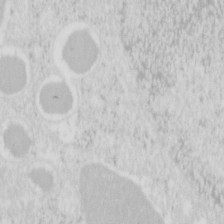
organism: Mouse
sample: Pancreas